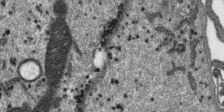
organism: Human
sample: Lung epithelial cells infected with SARS-CoV-2